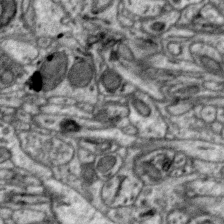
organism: Zebra finch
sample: Brain